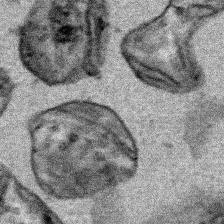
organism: Human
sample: Mitochondria in HCT116 cells